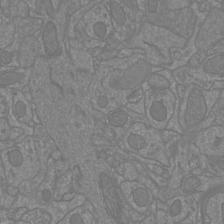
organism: Mouse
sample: Cortical neurons